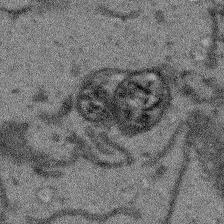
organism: Arabidopsis thaliana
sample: Root tip